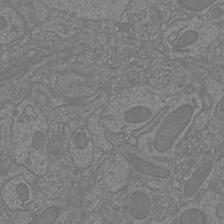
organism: Mouse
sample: Cortical neurons